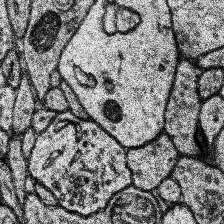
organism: Human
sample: Temporal Lobe